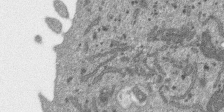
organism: Human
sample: Lung epithelial cells infected with SARS-CoV-2